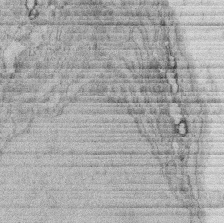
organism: Rat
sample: Salivary granule